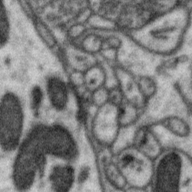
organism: Zebra finch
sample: Brain